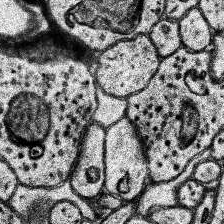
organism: Human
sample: Temporal Lobe